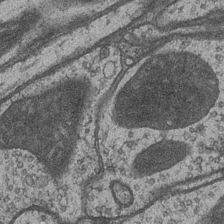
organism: Drosophila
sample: Optic medulla